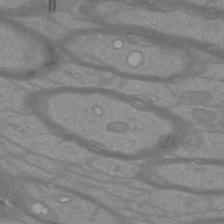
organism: Mouse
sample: Cortical neurons